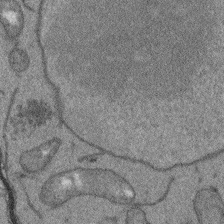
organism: Arabidopsis thaliana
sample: Root tip